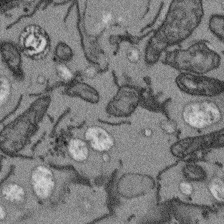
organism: Arabidopsis thaliana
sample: Root tip